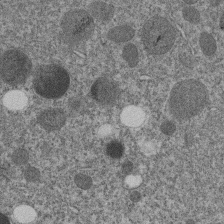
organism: C. elegans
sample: C. elegans embryo early stage